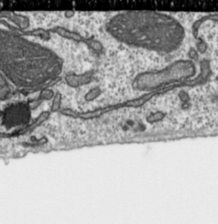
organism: Toxoplasma gondii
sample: Parasites in a vacuole inside a host cell